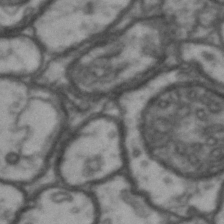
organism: Drosophila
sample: Brain